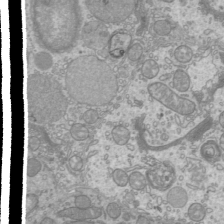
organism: Mouse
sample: Cilia; mouse epididymis